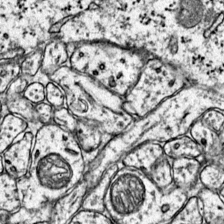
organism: Mouse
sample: Primary visual cortex